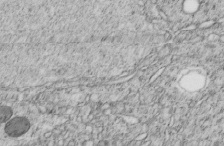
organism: C. elegans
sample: C. elegans embryo early stage